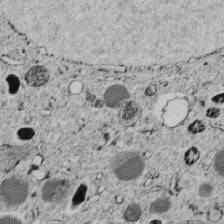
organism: C. elegans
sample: C. elegans embryo early stage